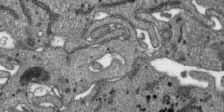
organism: Human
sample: Lung epithelial cells, uninfected (mock) control